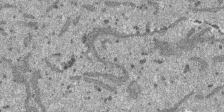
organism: Human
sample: Lung epithelial cells infected with SARS-CoV-2